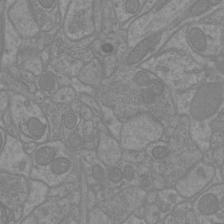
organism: Mouse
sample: Cortical neurons